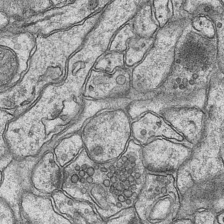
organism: Mouse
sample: CA1 Hippocampus